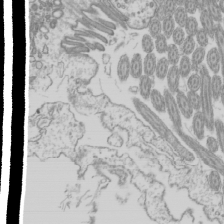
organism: Mouse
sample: Cilia; mouse epididymis